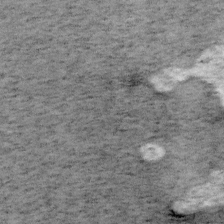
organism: Mouse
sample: OT-I killer T cells with ID8 ovarian cancer cells